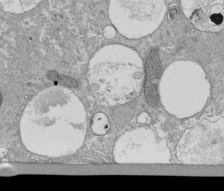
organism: Tetrahymena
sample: Cilia in tetrahymena